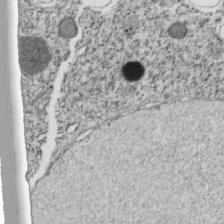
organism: C. elegans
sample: C. elegans embryo early stage